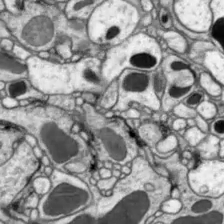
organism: Drosophila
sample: Optic lobe